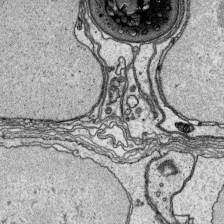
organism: Platynereis dumerilii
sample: Parapodia